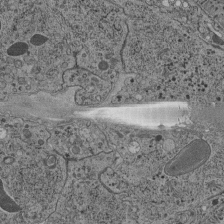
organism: C. elegans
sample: C. elegans pharynx